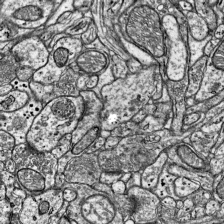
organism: Mouse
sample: Visual Cortex